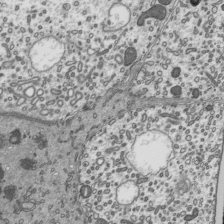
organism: Mouse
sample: Mouse epididymis efferent ductule cilia